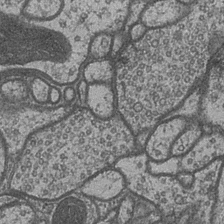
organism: Drosophila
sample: Optic medulla